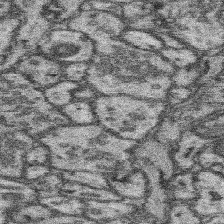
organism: Mouse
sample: Somatosensory cortex neuropil